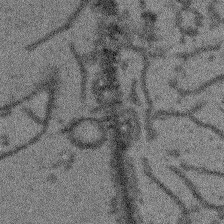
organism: Arabidopsis thaliana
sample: Root tip